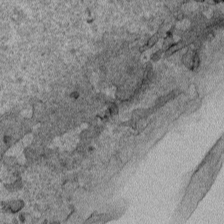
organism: Human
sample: Mitochondria in HCT116 cells